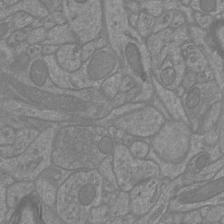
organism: Mouse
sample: Cortical neurons